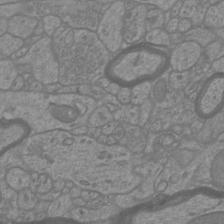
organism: Mouse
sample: Cortical neurons